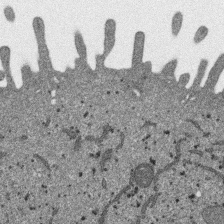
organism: Human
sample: Lung epithelial cells infected with SARS-CoV-2